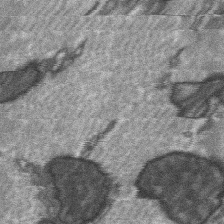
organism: C57BL Mouse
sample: Soleus